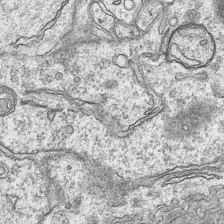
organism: Mouse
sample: CA1 Hippocampus